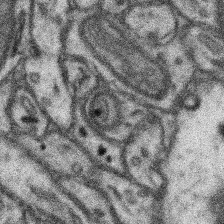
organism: Mouse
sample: Somatosensory cortex neuropil